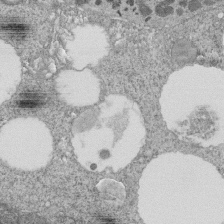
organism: Tetrahymena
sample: Cilia in tetrahymena